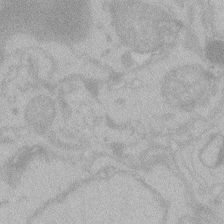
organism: Zebrafish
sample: Macrophage infected with Toxoplasma gondii